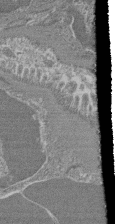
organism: Mouse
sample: Glomerulus